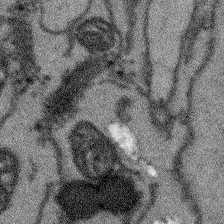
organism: Arabidopsis thaliana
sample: Root tip